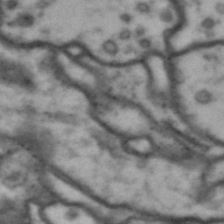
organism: Drosophila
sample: Brain